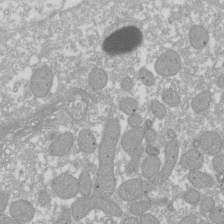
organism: Xenopus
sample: Cilia; centrioles in frog embryo cells